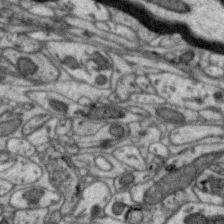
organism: Zebra finch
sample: Brain